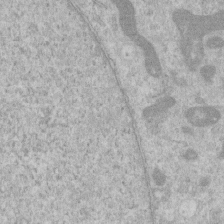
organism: Human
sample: Centriole in RPE cells